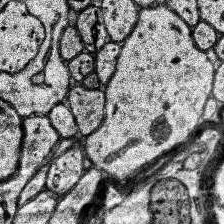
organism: Human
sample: Temporal Lobe